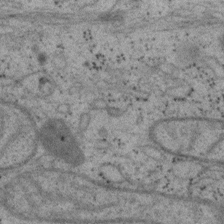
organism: Human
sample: HeLa cells